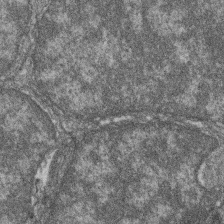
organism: Zebrafish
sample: Cilia; retinal pigment epithelium